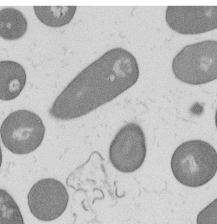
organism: B. subtilis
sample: Bacterial spore